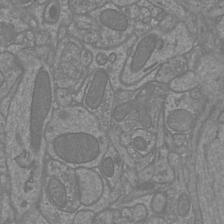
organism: Mouse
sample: Cortical neurons